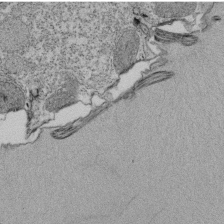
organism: Tetrahymena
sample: Cilia in tetrahymena